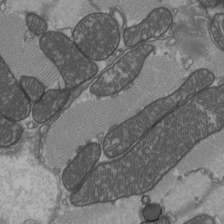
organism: C57BL Mouse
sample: Heart